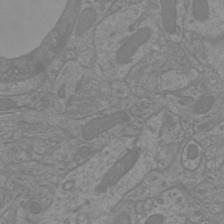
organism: Mouse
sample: Cortical neurons